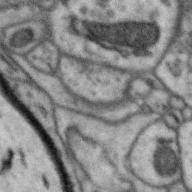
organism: Zebra finch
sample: Brain